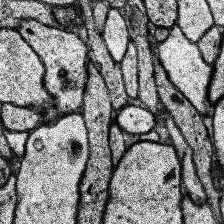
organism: Human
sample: Temporal Lobe